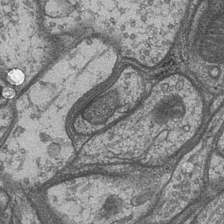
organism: Drosophila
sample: Optic medulla